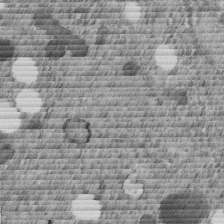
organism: C. elegans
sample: C. elegans embryo early stage